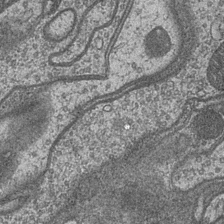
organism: Drosophila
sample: Optic medulla